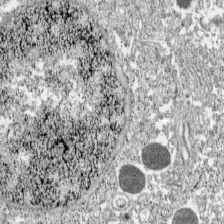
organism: C57BL Mouse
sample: Pancreatic islet